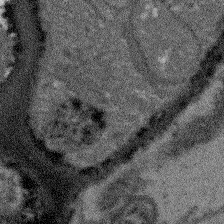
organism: Arabidopsis thaliana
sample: Root tip